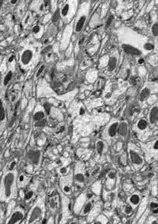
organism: Drosophila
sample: Optic lobe